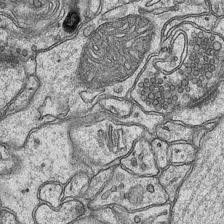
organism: Mouse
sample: CA1 Hippocampus